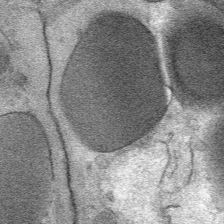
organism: Mouse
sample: Mouse Salivary gland